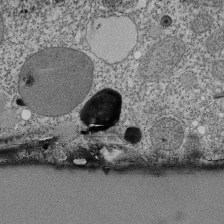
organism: Tetrahymena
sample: Cilia in tetrahymena